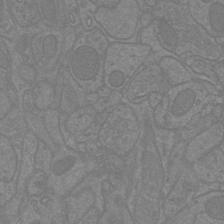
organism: Mouse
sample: Cortical neurons